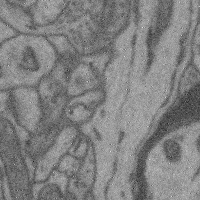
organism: Mouse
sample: Cerebral cortex